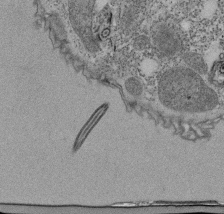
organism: Tetrahymena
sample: Cilia in tetrahymena